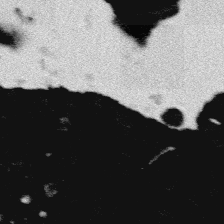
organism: Platynereis dumerilii